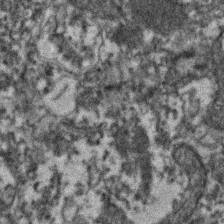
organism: Zebrafish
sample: Zebrafish embryo